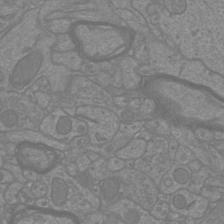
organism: Mouse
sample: Cortical neurons